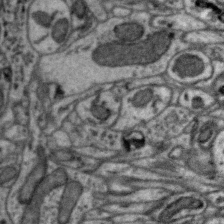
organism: Zebra finch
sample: Brain